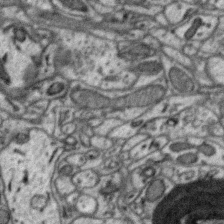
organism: Zebra finch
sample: Brain